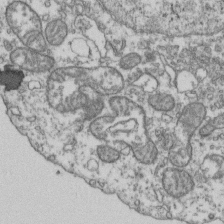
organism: Human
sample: Activated Jurkat CD4+ T cells